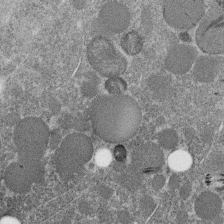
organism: C. elegans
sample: C. elegans embryo early stage